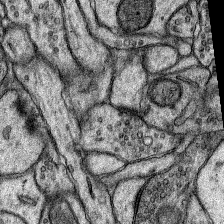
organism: Rat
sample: Hippocampus